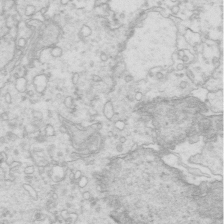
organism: Mouse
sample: Multiciliated cells